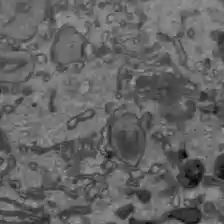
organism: C57BL Mouse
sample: Liver